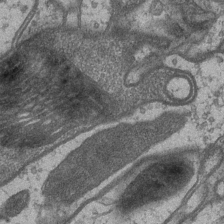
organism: Drosophila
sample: Optic medulla